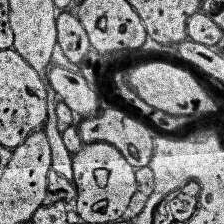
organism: Human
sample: Temporal Lobe